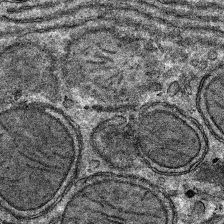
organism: Mouse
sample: Mouse hepatocytes